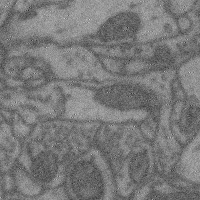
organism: Mouse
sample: Cerebral cortex